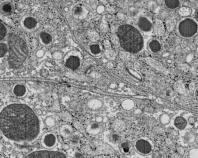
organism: C57BL Mouse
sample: Pancreatic islet